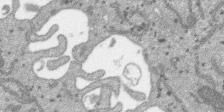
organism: Human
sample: Lung epithelial cells infected with SARS-CoV-2